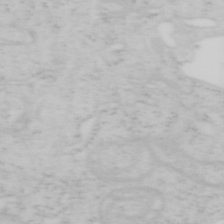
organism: Mouse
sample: OT-I killer T cells with ID8 ovarian cancer cells